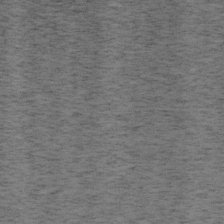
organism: Mouse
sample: OT-I killer T cells with ID8 ovarian cancer cells